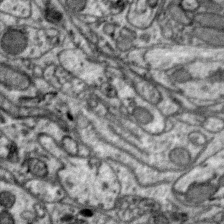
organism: Zebra finch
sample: Brain